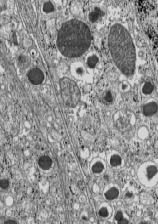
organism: C57BL Mouse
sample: Pancreatic islet